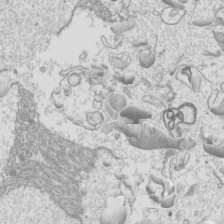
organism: Mouse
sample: Cilia; mouse epididymis